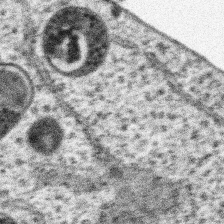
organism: Human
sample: HeLa cells